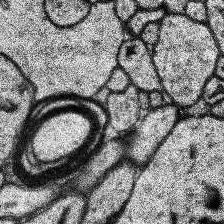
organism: Human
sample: Temporal Lobe